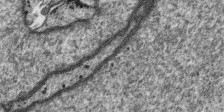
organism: Human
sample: Lung epithelial cells infected with SARS-CoV-2